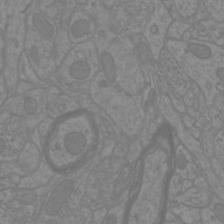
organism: Mouse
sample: Cortical neurons